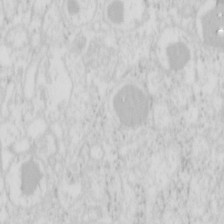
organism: Mouse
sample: Pancreas